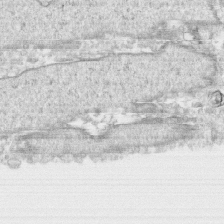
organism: Human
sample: CRL-1474